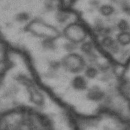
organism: Drosophila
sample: Brain